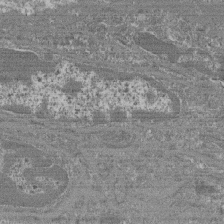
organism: Mouse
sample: Glomerulus